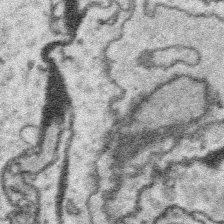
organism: Platynereis dumerilii